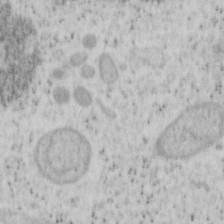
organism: Human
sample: HeLa cells